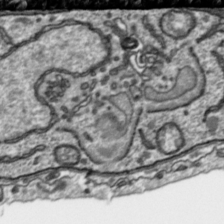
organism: Toxoplasma gondii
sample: Parasites in a vacuole inside a host cell